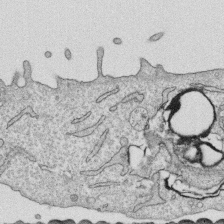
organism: Human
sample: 1205lu cells